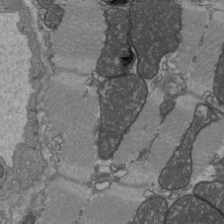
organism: C57BL Mouse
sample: Heart